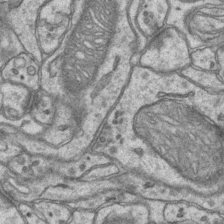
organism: Mouse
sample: CA1 Hippocampus